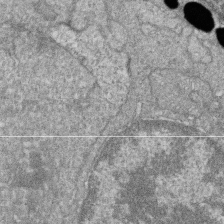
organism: Zebrafish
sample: Cilia; retinal pigment epithelium